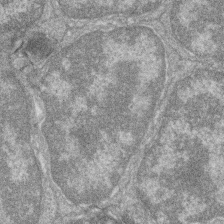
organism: Zebrafish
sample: Cilia; retinal pigment epithelium